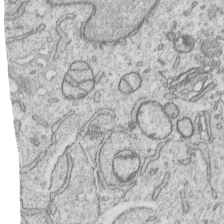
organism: Human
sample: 1205lu cells